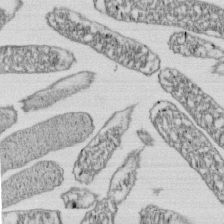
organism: E. coli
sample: Bacterial nucleoid